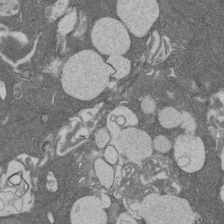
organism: Rat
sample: Salivary granule